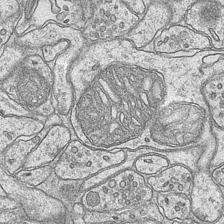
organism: Mouse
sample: CA1 Hippocampus